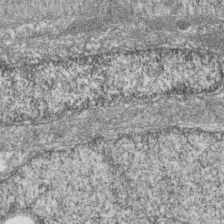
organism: Zebrafish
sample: Cilia; retinal pigment epithelium